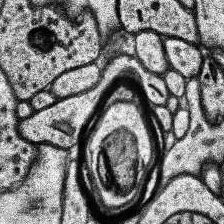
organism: Human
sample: Temporal Lobe